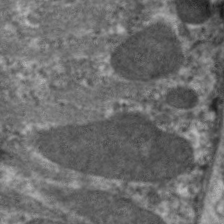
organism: C. elegans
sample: Pharynx